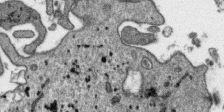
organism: Human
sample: Lung epithelial cells, uninfected (mock) control